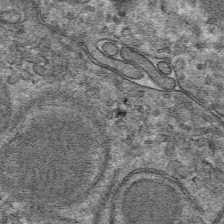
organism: Mouse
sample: Mouse hepatocytes